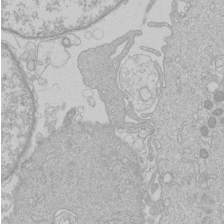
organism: Human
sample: Macrophage cells